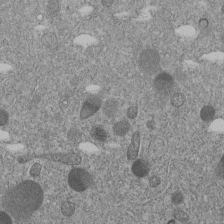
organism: C. elegans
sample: C. elegans embryo early stage